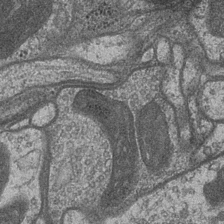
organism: Drosophila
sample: Optic medulla